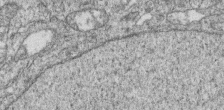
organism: Human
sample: HeLa cell HIV synapse